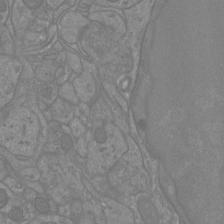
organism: Mouse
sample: Cortical neurons